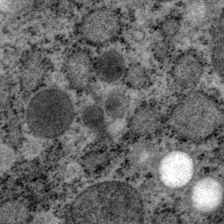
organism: P. pacificus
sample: Pharynx